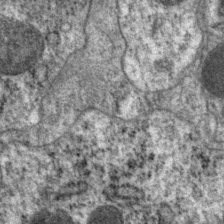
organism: P. pacificus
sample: Pharynx